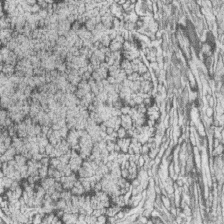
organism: Zebrafish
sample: synaptic ribbons in rod cells and cone cells